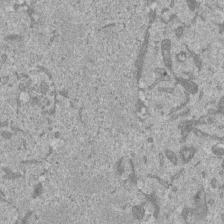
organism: Mouse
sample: ED-1 cell nuclei; centrioles